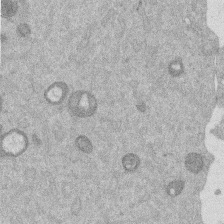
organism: Mouse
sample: Dividing mouse embryo 1 cell stage